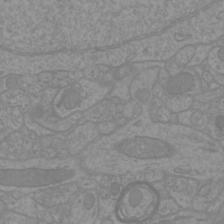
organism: Mouse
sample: Cortical neurons